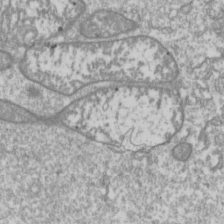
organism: Drosophila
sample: Cell division; meiosis; drosophila spermatocytes